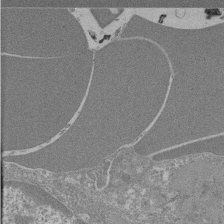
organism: Mouse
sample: Glomerulus